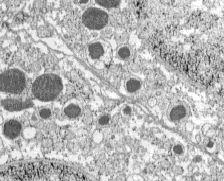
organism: C57BL Mouse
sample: Pancreatic islet